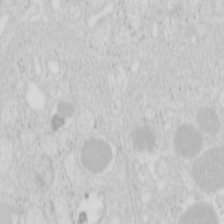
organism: Mouse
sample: Pancreas